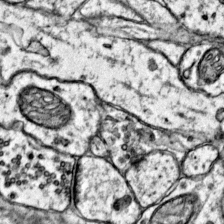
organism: Mouse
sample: Primary visual cortex